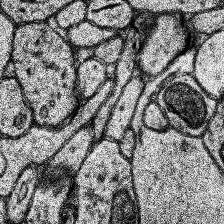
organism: Human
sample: Temporal Lobe